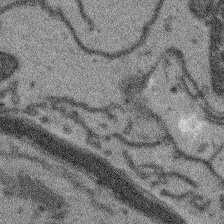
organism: Arabidopsis thaliana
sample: Root tip